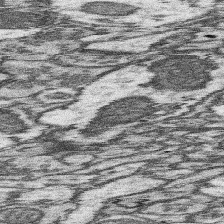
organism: Mouse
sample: Somatosensory cortex neuropil